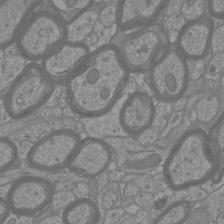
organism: Mouse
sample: Cortical neurons